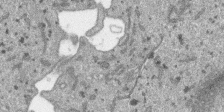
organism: Human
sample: Lung epithelial cells infected with SARS-CoV-2